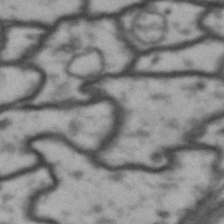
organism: Drosophila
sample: Brain